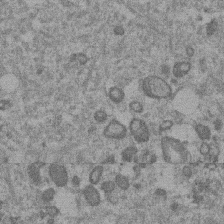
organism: Mouse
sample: Dividing mouse embryo 1 cell stage